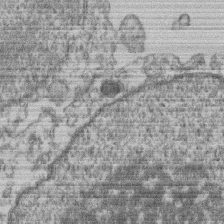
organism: Mouse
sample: T cell stromal cell synapse